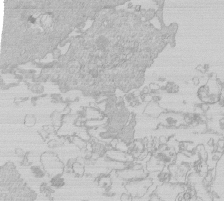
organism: Human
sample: Macrophage cells